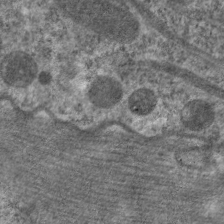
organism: C. elegans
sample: Pharynx